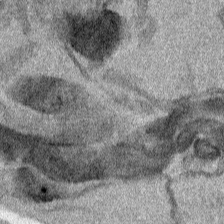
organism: Human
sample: Mitochondria in HCT116 cells